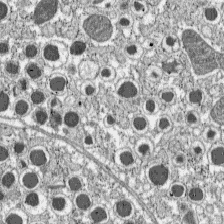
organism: C57BL Mouse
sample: Pancreatic islet